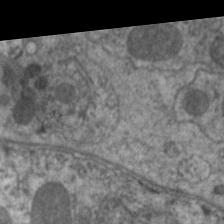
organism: C. elegans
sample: Pharynx